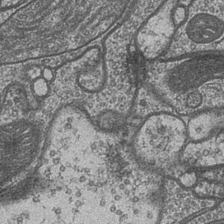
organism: Drosophila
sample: Optic medulla